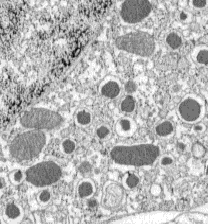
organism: C57BL Mouse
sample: Pancreatic islet